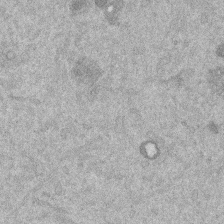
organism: Mouse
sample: Dividing mouse embryo 1 cell stage